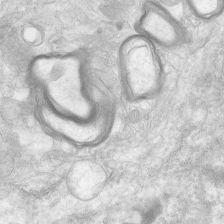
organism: Human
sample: Neocortex